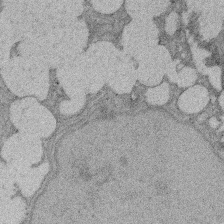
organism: Rat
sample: Salivary granule